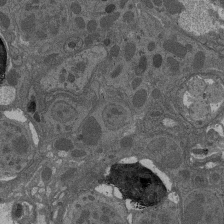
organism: Drosophila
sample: Antenna